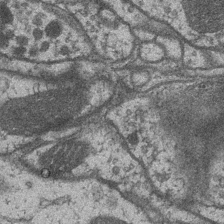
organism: Drosophila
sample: Optic medulla